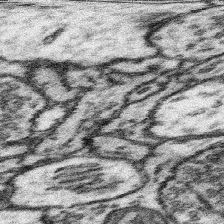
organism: Mouse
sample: Somatosensory cortex neuropil